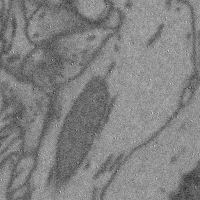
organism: Mouse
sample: Cerebral cortex